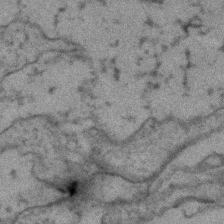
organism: Zebrafish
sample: Zebrafish embryo